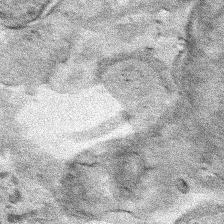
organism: Human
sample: Mitochondria in HCT116 cells